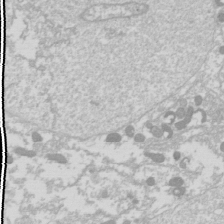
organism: Drosophila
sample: Cell division; meiosis; drosophila spermatocytes